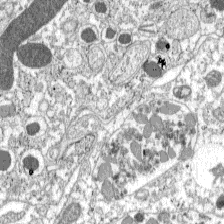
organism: C57BL Mouse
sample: Pancreatic islet